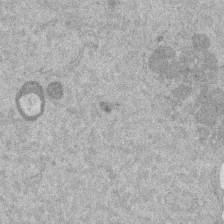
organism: Mouse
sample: Dividing mouse embryo 1 cell stage